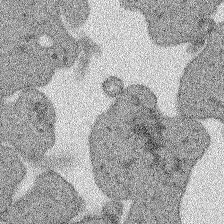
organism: Human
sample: HeLa cells